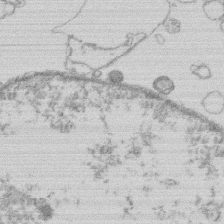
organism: Human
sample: Macrophage cells